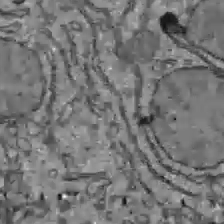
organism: C57BL Mouse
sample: Liver